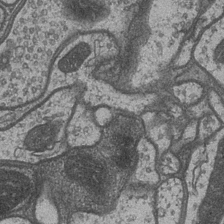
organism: Drosophila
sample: Optic medulla